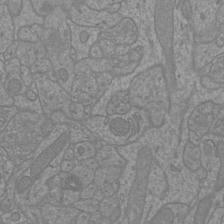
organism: Mouse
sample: Cortical neurons